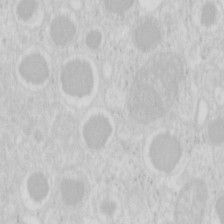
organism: Mouse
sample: Pancreas